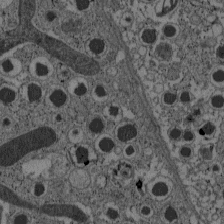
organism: C57BL Mouse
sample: Pancreatic islet